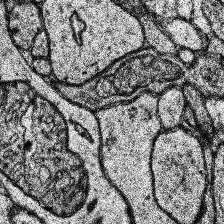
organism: Human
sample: Temporal Lobe